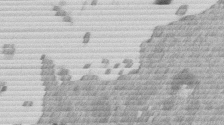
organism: Mouse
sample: Dividing mouse embryo 1 cell stage